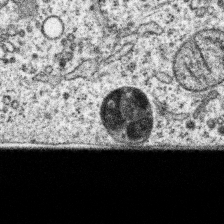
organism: Human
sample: HeLa cells